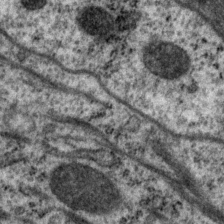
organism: P. pacificus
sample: Pharynx